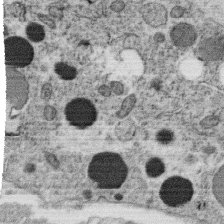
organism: C. elegans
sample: C. elegans oocyte; sperm cells